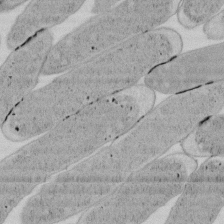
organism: E. coli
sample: Bacterial nucleoid